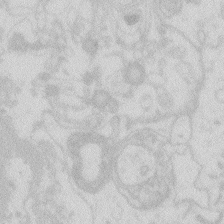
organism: Zebrafish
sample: Macrophage